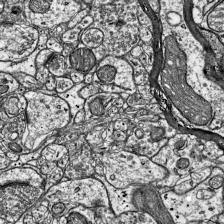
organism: Mouse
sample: Visual Cortex